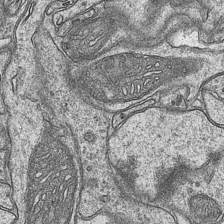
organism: Mouse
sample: CA1 Hippocampus